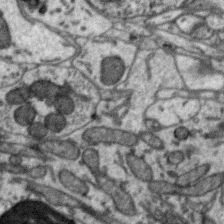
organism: Zebra finch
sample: Brain